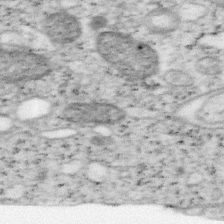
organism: Mouse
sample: OT-I killer T cells with ID8 ovarian cancer cells